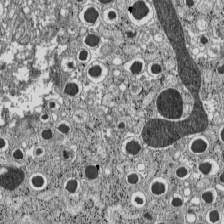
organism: C57BL Mouse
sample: Pancreatic islet